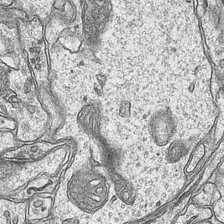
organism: Mouse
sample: CA1 Hippocampus